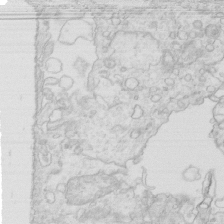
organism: Mouse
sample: Multiciliated cells